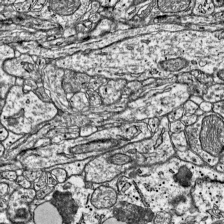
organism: Mouse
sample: Visual Cortex